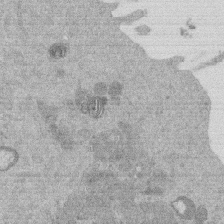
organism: Mouse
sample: Dividing mouse embryo 1 cell stage